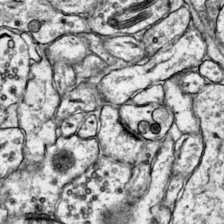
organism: Mouse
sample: Primary visual cortex